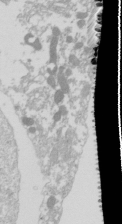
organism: Drosophila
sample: Cell division; meiosis; drosophila spermatocytes